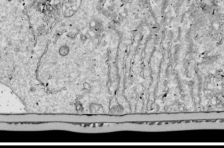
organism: Drosophila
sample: Cell division; meiosis; drosophila spermatocytes